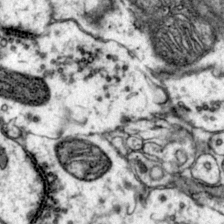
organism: Mouse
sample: Primary visual cortex